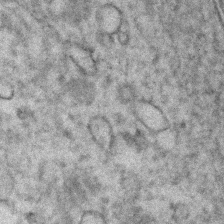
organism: Human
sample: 1205lu cells